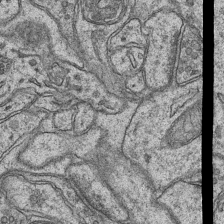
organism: Mouse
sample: CA1 Hippocampus